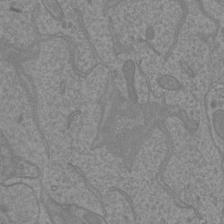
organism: Mouse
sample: Cortical neurons